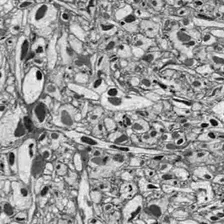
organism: Drosophila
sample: Optic lobe